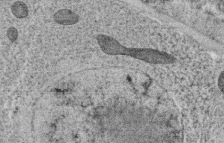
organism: C. elegans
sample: C. elegans oocyte; sperm cells